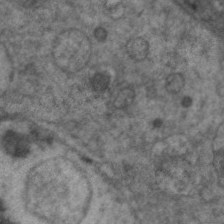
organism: C. elegans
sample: Pharynx